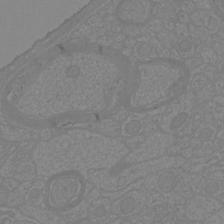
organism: Mouse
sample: Cortical neurons